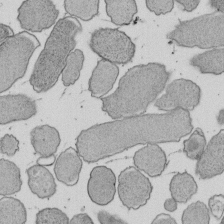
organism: E. coli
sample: Bacterial nucleoid